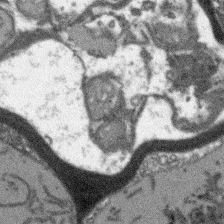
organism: Arabidopsis thaliana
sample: Root tip